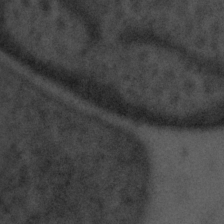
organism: Tuwongella immobilis